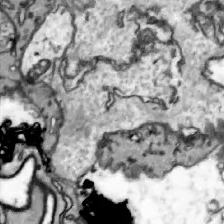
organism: Zebrafish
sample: Actinotrichia fibers